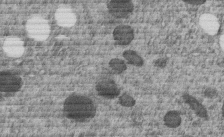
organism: C. elegans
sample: C. elegans embryo early stage